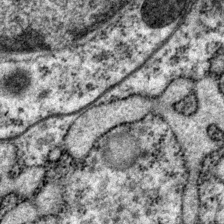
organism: P. pacificus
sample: Pharynx